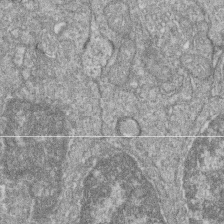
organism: Zebrafish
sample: Cilia; retinal pigment epithelium